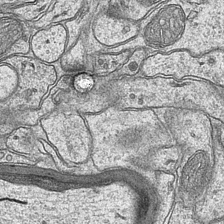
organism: Mouse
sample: CA1 Hippocampus